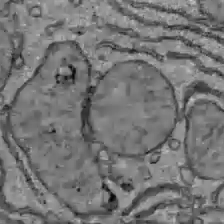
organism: C57BL Mouse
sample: Liver